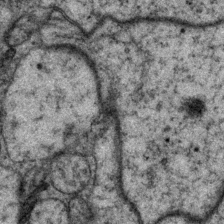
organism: P. pacificus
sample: Pharynx